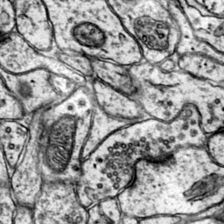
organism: Mouse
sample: Primary visual cortex